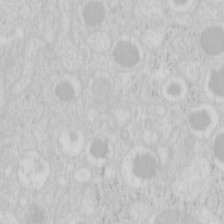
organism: Mouse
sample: Pancreas